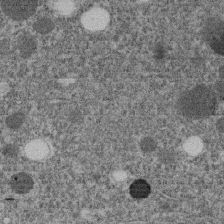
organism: C. elegans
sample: C. elegans embryo early stage